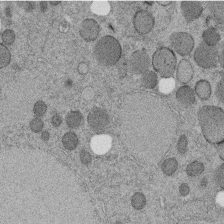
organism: C. elegans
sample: C. elegans embryo early stage